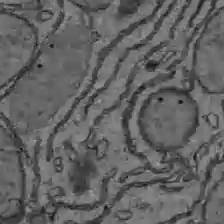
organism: C57BL Mouse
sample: Liver